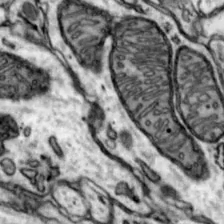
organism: Mouse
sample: Nucleus accumbens